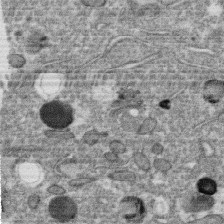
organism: C. elegans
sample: C. elegans oocyte; sperm cells